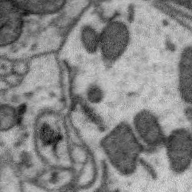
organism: Zebra finch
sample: Brain